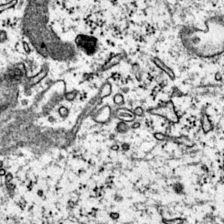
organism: Mouse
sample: Primary visual cortex